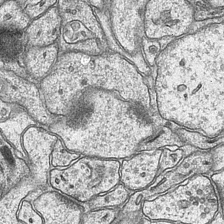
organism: Mouse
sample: CA1 Hippocampus